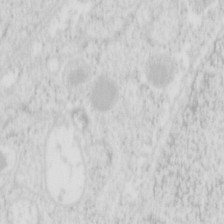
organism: Mouse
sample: Pancreas